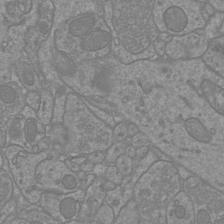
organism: Mouse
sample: Cortical neurons